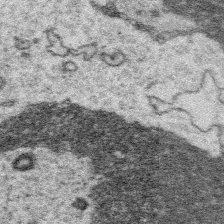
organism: Platynereis dumerilii